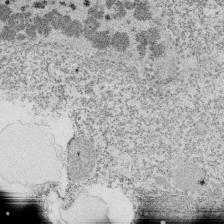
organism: Tetrahymena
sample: Cilia in tetrahymena